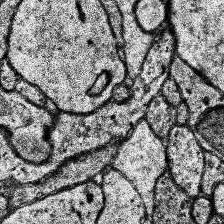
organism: Human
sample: Temporal Lobe